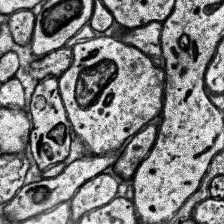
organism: Human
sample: Temporal Lobe